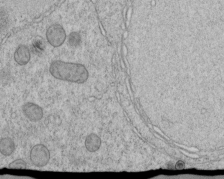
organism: C. elegans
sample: C. elegans embryo early stage